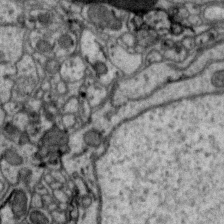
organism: Zebra finch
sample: Brain